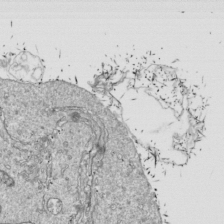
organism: Drosophila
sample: Cell division; meiosis; drosophila spermatocytes